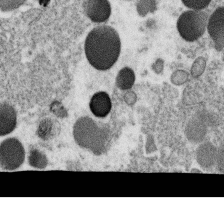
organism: C. elegans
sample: C. elegans oocyte; sperm cells